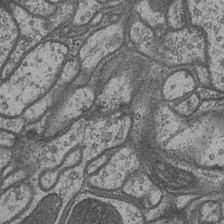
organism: Drosophila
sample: Optic medulla